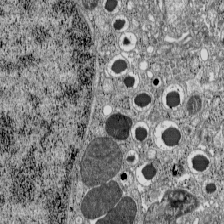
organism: C57BL Mouse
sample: Pancreatic islet